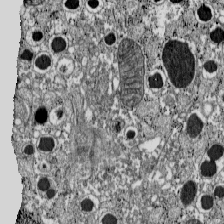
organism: C57BL Mouse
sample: Pancreatic islet